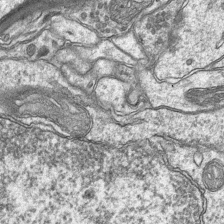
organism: Mouse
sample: CA1 Hippocampus